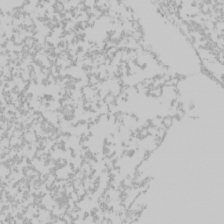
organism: Mouse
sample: Cancer cell death in ED-1 cells